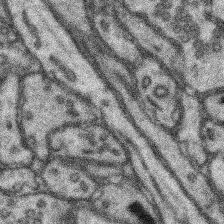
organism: Mouse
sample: Somatosensory cortex neuropil